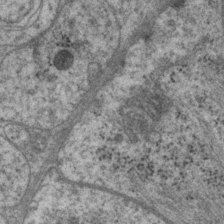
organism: P. pacificus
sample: Pharynx